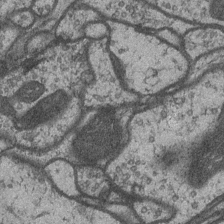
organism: Drosophila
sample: Optic medulla